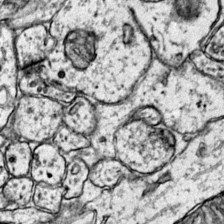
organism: Mouse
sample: Primary visual cortex